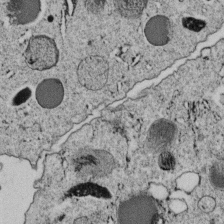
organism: C. elegans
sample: C. elegans embryo early stage